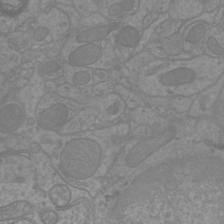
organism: Mouse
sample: Cortical neurons